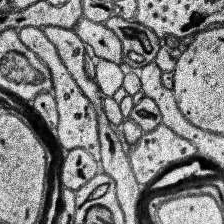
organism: Human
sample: Temporal Lobe